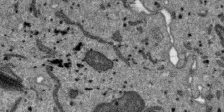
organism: Human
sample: Lung epithelial cells, uninfected (mock) control